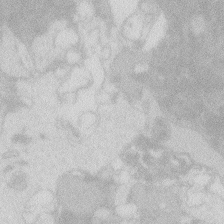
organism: Zebrafish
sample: Macrophage